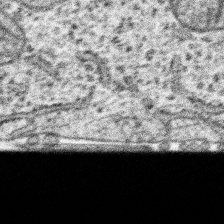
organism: Human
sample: HeLa cells